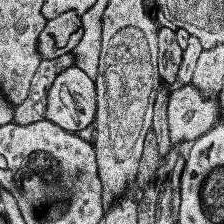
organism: Human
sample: Temporal Lobe